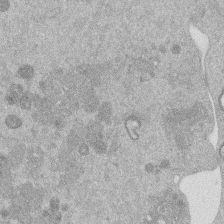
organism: Mouse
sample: Dividing mouse embryo 1 cell stage